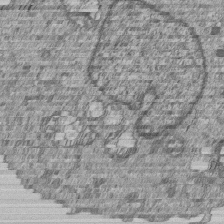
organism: Human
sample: MDA-MB-231 cells